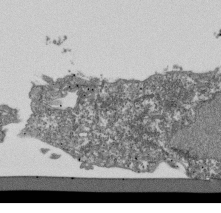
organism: Dictyostelium discoideum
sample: Dictyostelium multivesicular bodies